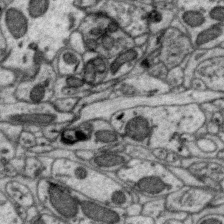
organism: Zebra finch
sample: Brain